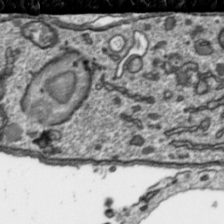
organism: Toxoplasma gondii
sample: Parasites in a vacuole inside a host cell